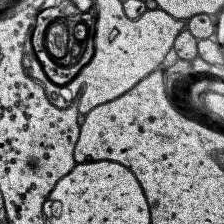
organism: Human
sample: Temporal Lobe